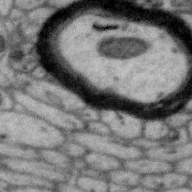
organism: Zebra finch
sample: Brain